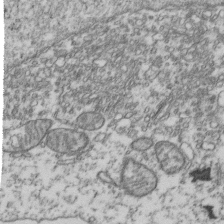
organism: Human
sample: Activated Jurkat CD4+ T cells